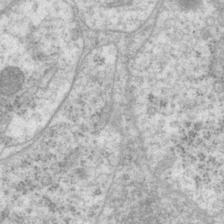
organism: P. pacificus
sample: Pharynx